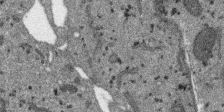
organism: Human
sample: Lung epithelial cells infected with SARS-CoV-2